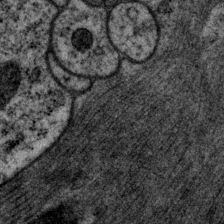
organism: P. pacificus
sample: Pharynx